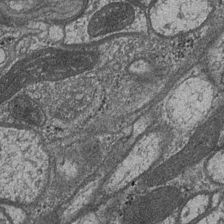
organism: Drosophila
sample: Optic medulla